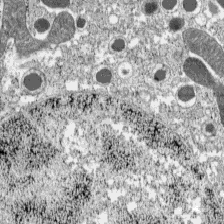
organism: C57BL Mouse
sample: Pancreatic islet